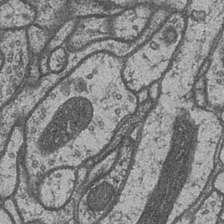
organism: Drosophila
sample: Optic medulla